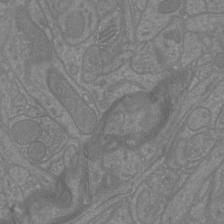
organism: Mouse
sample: Cortical neurons